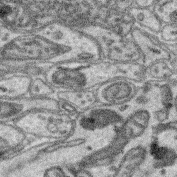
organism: Mouse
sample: Retina